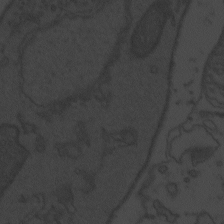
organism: Zebrafish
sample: Macrophage infected with Toxoplasma gondii